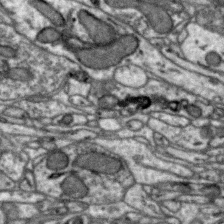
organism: Zebra finch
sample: Brain